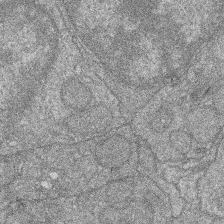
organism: Zebrafish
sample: Cilia; retinal pigment epithelium